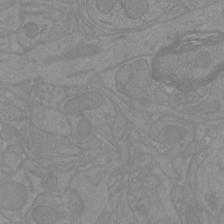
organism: Mouse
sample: Cortical neurons